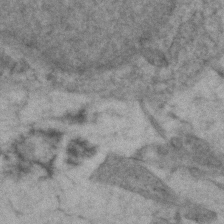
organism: Zebrafish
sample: Zebrafish embryo